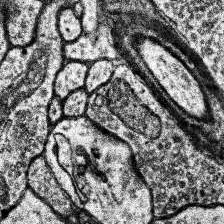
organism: Human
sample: Temporal Lobe